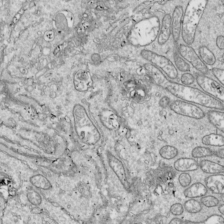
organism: Drosophila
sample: Cell division; meiosis; drosophila spermatocytes